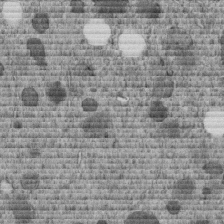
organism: C. elegans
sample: C. elegans embryo early stage